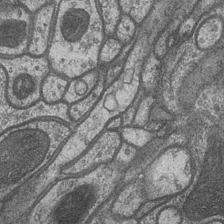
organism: Drosophila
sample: Optic medulla